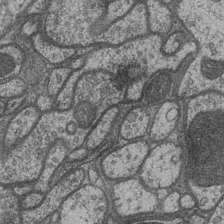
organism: Drosophila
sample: Optic medulla